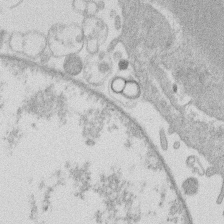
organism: Human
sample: Macrophage cells